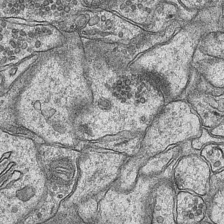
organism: Mouse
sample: CA1 Hippocampus